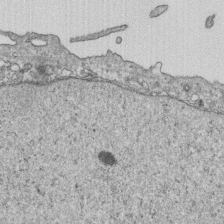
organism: Human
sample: HeLa cell HIV synapse